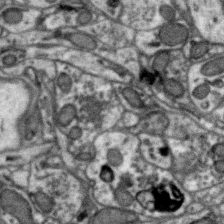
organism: Zebra finch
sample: Brain